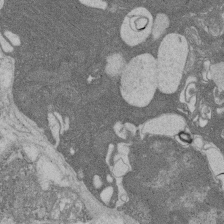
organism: Rat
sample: Salivary granule